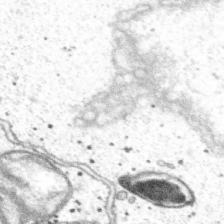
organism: Human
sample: HeLa cells